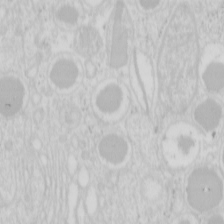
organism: Mouse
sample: Pancreas